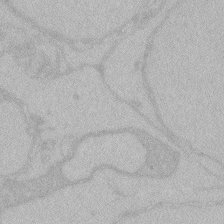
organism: Zebrafish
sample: Macrophage infected with Toxoplasma gondii